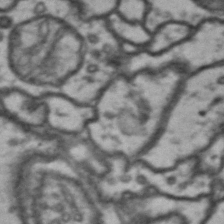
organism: Drosophila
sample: Brain